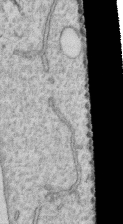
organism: Human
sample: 1205lu cells